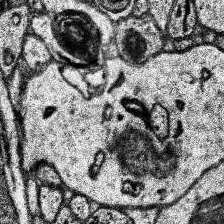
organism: Human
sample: Temporal Lobe